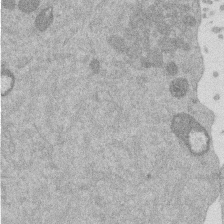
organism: Mouse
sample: Dividing mouse embryo 1 cell stage